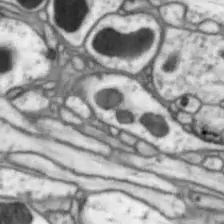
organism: Drosophila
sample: Optic lobe